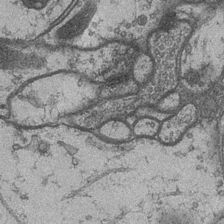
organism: Drosophila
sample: Optic medulla